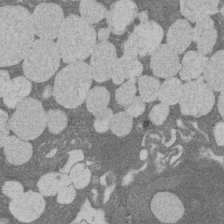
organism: Rat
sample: Salivary granule